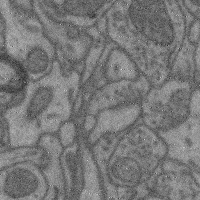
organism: Mouse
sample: Cerebral cortex